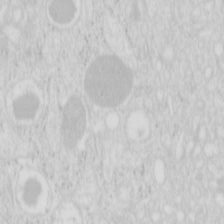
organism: Mouse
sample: Pancreas